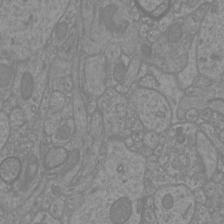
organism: Mouse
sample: Cortical neurons